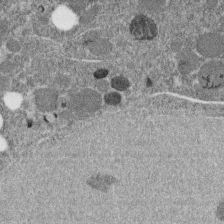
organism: C. elegans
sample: C. elegans embryo early stage